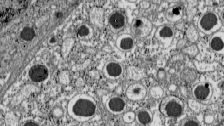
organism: C57BL Mouse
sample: Pancreatic islet